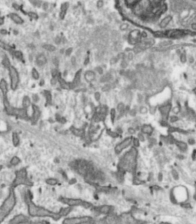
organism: Toxoplasma gondii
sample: Parasites in a vacuole inside a host cell